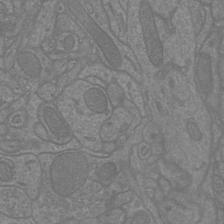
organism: Mouse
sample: Cortical neurons